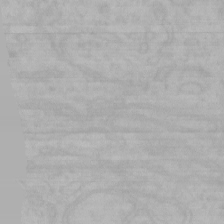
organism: Mouse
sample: Choroid plexus